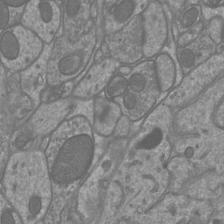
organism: Mouse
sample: Cortical neurons